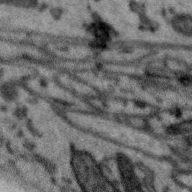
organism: Zebra finch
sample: Brain